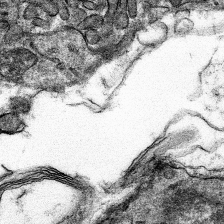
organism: Mouse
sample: Mouse hepatocytes